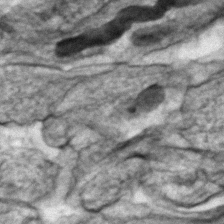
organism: Zebrafish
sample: Zebrafish embryo